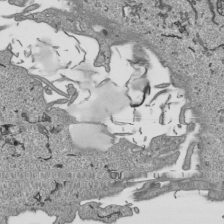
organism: Human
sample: Mitochondria in HCT116 cells